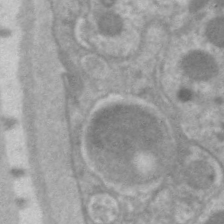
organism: C. elegans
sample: Pharynx